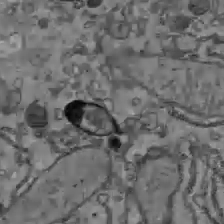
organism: C57BL Mouse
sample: Liver